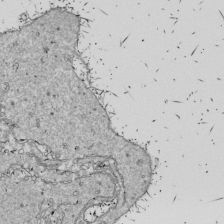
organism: Drosophila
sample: Cell division; meiosis; drosophila spermatocytes